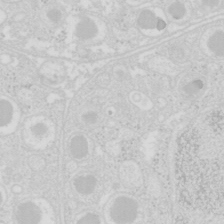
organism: Mouse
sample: Pancreas